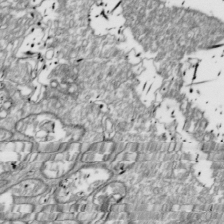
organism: Drosophila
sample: Cell division; meiosis; drosophila spermatocytes